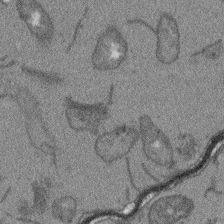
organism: Arabidopsis thaliana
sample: Root tip